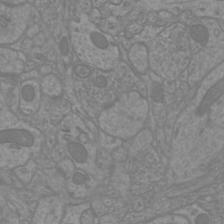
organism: Mouse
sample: Cortical neurons